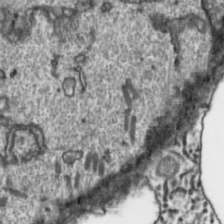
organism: Toxoplasma gondii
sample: Parasites in a vacuole inside a host cell